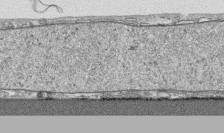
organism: Human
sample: CRL-1474